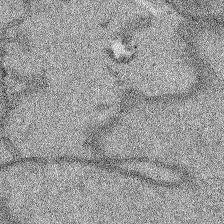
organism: Human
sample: HeLa cells